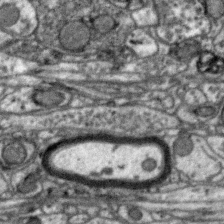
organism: Zebra finch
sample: Brain